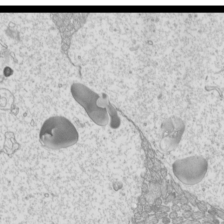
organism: Mouse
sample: Cilia; mouse epididymis